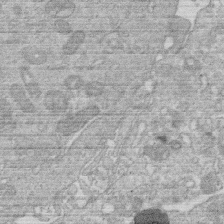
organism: Human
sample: Macrophage cells